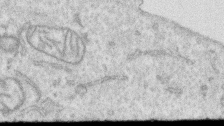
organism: Human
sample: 1205lu cells